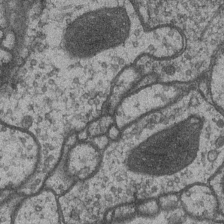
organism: Drosophila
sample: Optic medulla